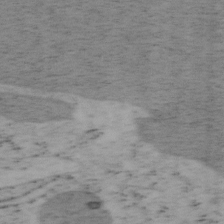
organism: Mouse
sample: OT-I killer T cells with ID8 ovarian cancer cells